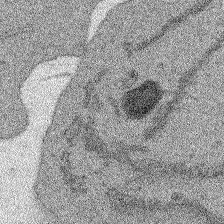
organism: Human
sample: HeLa cells